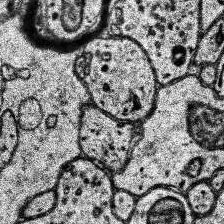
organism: Human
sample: Temporal Lobe